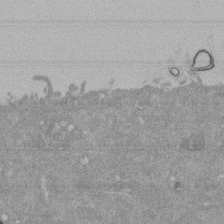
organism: Mouse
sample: ED-1 cell nuclei; centrioles